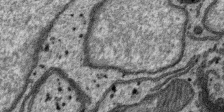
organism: Human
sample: Lung epithelial cells, uninfected (mock) control